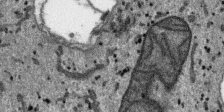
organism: Human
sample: Lung epithelial cells, uninfected (mock) control